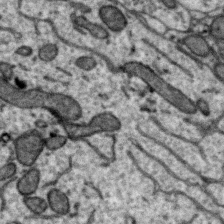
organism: Zebra finch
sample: Brain